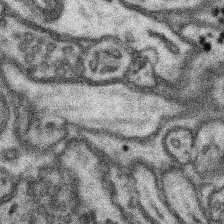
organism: Mouse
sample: Somatosensory cortex neuropil